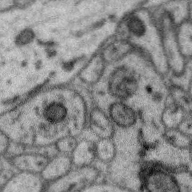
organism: Zebra finch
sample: Brain